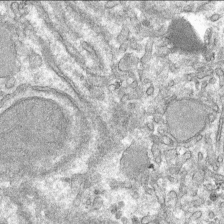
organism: Mouse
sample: Mouse hepatocytes